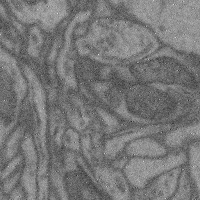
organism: Mouse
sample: Cerebral cortex